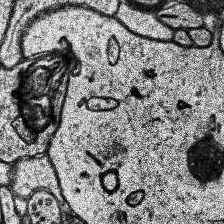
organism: Human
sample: Temporal Lobe